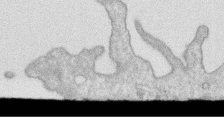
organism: Human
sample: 1205lu cells